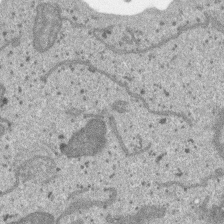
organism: Human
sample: Lung epithelial cells infected with SARS-CoV-2